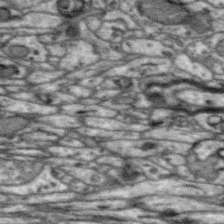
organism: Zebra finch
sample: Brain